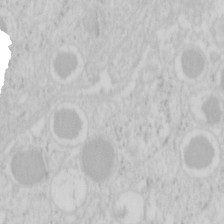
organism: Mouse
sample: Pancreas